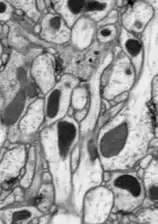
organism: Drosophila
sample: Optic lobe